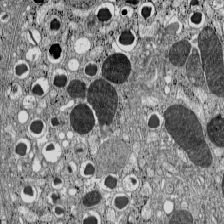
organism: C57BL Mouse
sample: Pancreatic islet